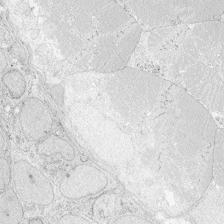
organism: Zebrafish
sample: Whole-Brain